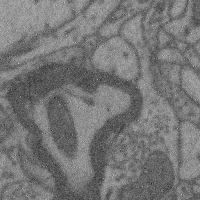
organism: Mouse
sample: Cerebral cortex